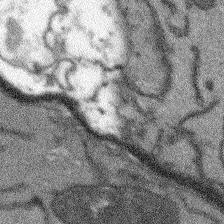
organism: Arabidopsis thaliana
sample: Root tip